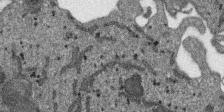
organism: Human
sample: Lung epithelial cells infected with SARS-CoV-2